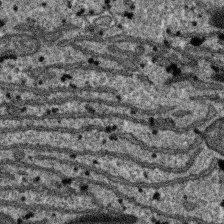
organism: Human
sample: Lung epithelial cells infected with SARS-CoV-2